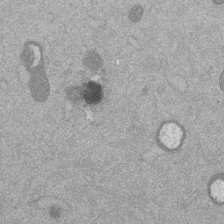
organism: Mouse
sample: Dividing mouse embryo 1 cell stage